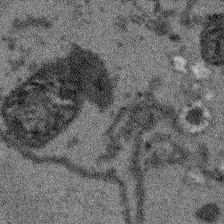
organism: Arabidopsis thaliana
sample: Root tip